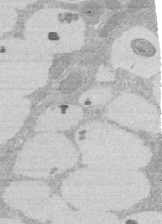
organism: Rat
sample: Salivary granule